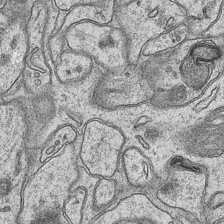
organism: Mouse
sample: CA1 Hippocampus